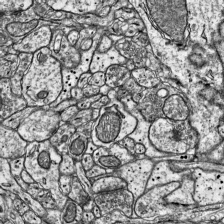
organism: Mouse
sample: Visual Cortex